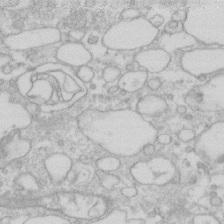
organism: Human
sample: Fibroblast cells